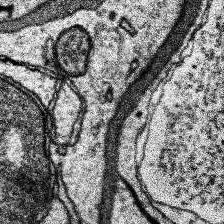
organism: Human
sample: Temporal Lobe